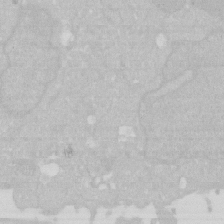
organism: Human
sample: HIV infected U937 cells